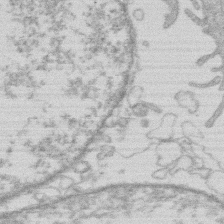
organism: Human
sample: Macrophage cells